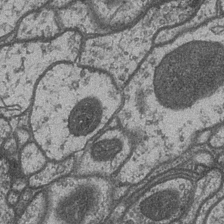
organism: Drosophila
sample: Optic medulla